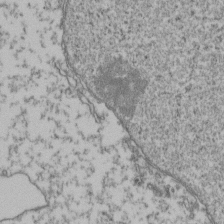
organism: Human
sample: Activated Jurkat CD4+ T cells